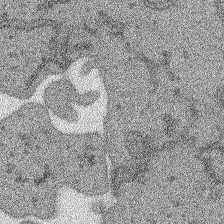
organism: Human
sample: HeLa cells